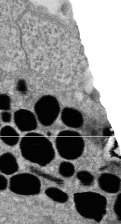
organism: Zebrafish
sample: Cilia; retinal pigment epithelium